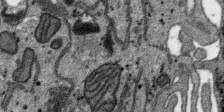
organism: Human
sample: Lung epithelial cells, uninfected (mock) control